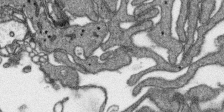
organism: Human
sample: Lung epithelial cells, uninfected (mock) control